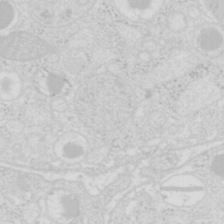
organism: Mouse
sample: Pancreas